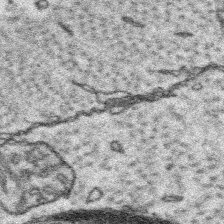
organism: Platynereis dumerilii